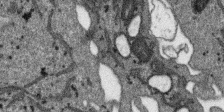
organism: Human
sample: Lung epithelial cells infected with SARS-CoV-2